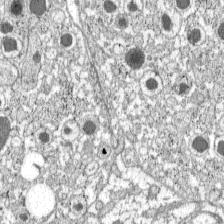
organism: C57BL Mouse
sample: Pancreatic islet